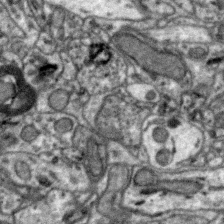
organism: Zebra finch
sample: Brain